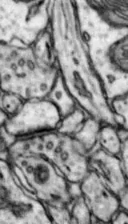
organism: Mouse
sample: Nucleus accumbens